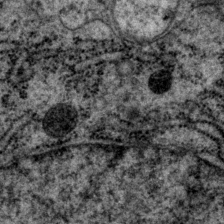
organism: P. pacificus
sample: Pharynx